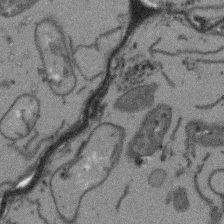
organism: Arabidopsis thaliana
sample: Root tip